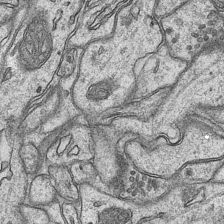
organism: Mouse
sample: CA1 Hippocampus